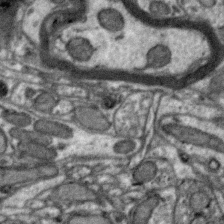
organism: Zebra finch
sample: Brain